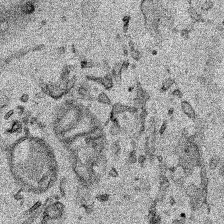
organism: Human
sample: Mitochondria in HCT116 cells